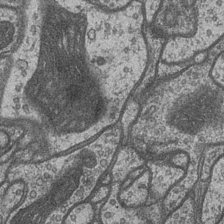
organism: Drosophila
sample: Optic medulla